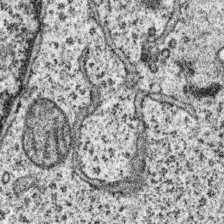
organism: Human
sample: HeLa cells